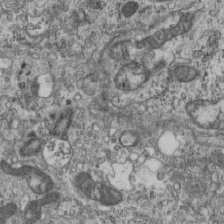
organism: Mouse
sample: Centriole in ependymal cells